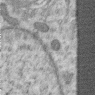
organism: Human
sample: Centriole in RPE cells